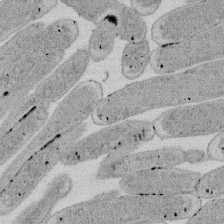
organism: E. coli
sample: Bacterial nucleoid